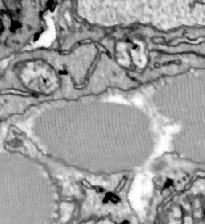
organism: Zebrafish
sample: Actinotrichia fibers